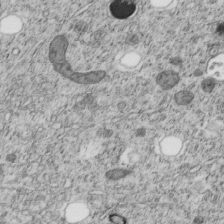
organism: C. elegans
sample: C. elegans embryo early stage